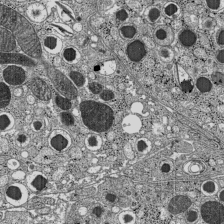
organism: C57BL Mouse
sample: Pancreatic islet